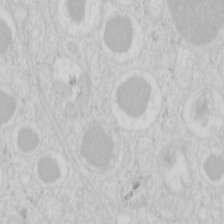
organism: Mouse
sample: Pancreas